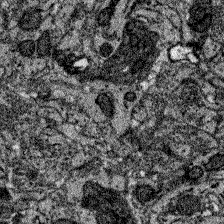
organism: Zebrafish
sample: Larval olfactory bulb